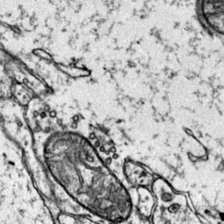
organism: Mouse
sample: Primary visual cortex